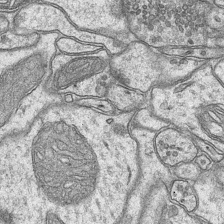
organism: Mouse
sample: CA1 Hippocampus